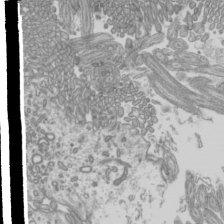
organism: Mouse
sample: Cilia; mouse epididymis